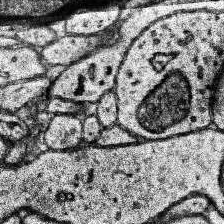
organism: Human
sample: Temporal Lobe